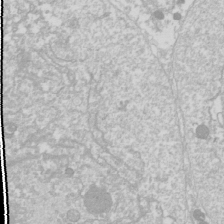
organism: Drosophila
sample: Cell division; meiosis; drosophila spermatocytes